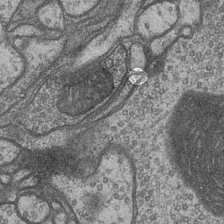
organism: Drosophila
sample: Optic medulla